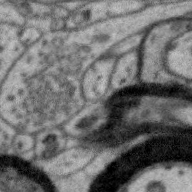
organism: Zebra finch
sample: Brain